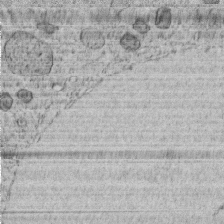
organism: C. elegans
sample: C. elegans embryo early stage